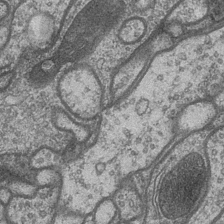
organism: Drosophila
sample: Optic medulla